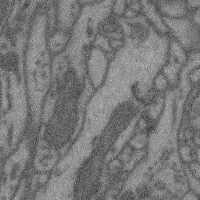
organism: Mouse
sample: Cerebral cortex